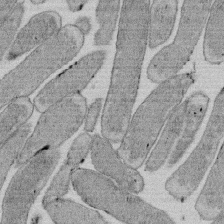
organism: E. coli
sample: Bacterial nucleoid